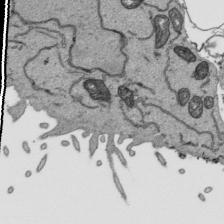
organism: Human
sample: Mitochondria in HCT116 cells